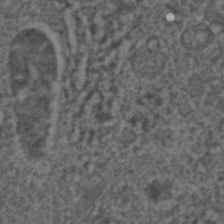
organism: C. elegans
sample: C. elegans embryo